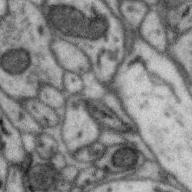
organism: Zebra finch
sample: Brain